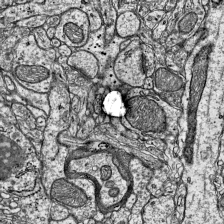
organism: Mouse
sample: Visual Cortex